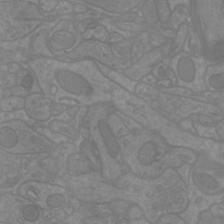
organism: Mouse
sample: Cortical neurons